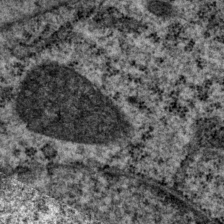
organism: P. pacificus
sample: Pharynx